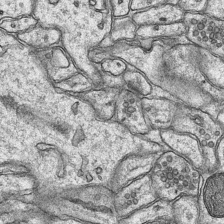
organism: Mouse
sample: CA1 Hippocampus